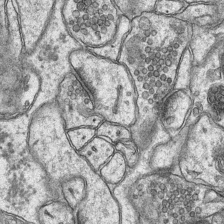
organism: Mouse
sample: CA1 Hippocampus